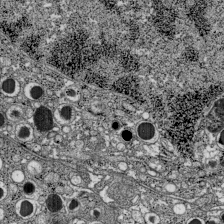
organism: C57BL Mouse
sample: Pancreatic islet